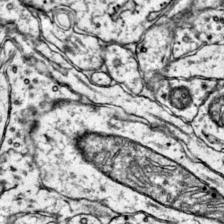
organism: Mouse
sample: Primary visual cortex